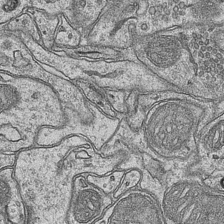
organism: Mouse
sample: CA1 Hippocampus